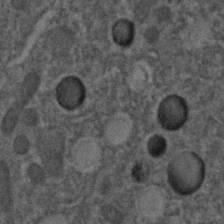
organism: C. elegans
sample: C. elegans embryo